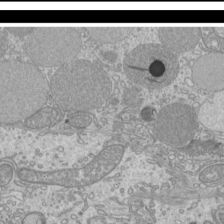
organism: Mouse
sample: Cilia; mouse epididymis